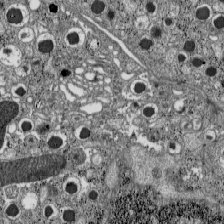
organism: C57BL Mouse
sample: Pancreatic islet